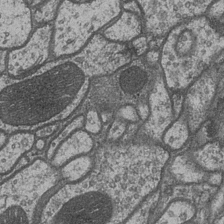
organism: Drosophila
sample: Optic medulla